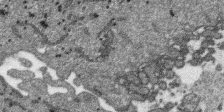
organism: Human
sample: Lung epithelial cells infected with SARS-CoV-2